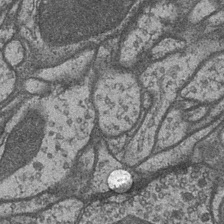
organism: Drosophila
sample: Optic medulla